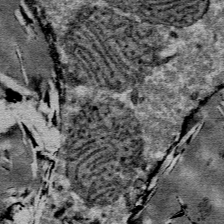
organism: Mouse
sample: Mouse Salivary gland